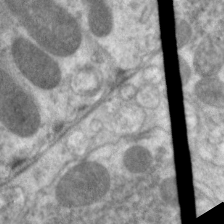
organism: C. elegans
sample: Pharynx